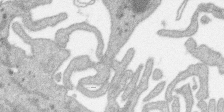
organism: Human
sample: Lung epithelial cells infected with SARS-CoV-2